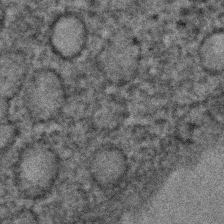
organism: C. elegans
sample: C. elegans embryo